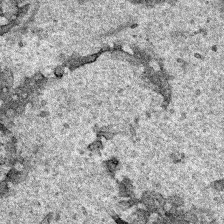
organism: Human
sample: Mitochondria in HCT116 cells